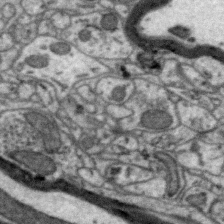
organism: Zebra finch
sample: Brain